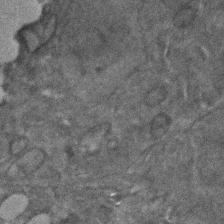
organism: C. elegans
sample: C. elegans embryo